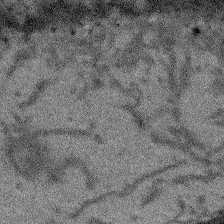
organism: Arabidopsis thaliana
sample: Root tip